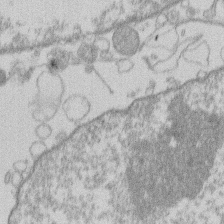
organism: Human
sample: Macrophage cells